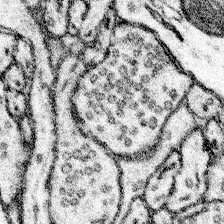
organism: Mouse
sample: Somatosensory cortex neuropil